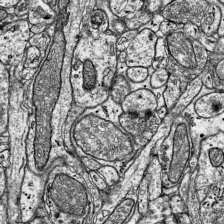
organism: Mouse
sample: Visual Cortex